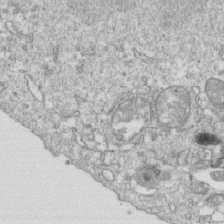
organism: Mouse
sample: Activated OT-1 CD8+ T cells